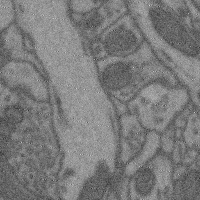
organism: Mouse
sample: Cerebral cortex